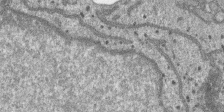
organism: Human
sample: Lung epithelial cells infected with SARS-CoV-2